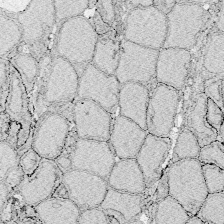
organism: Zebrafish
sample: Whole-Brain